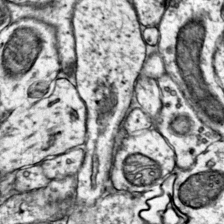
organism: Mouse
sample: Primary visual cortex